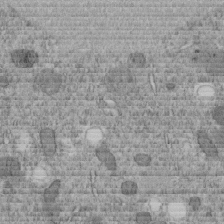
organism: C. elegans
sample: C. elegans embryo early stage